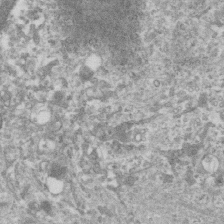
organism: Human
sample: Centriole in RPE cells